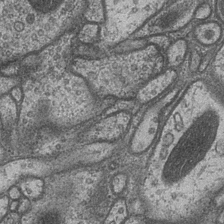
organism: Drosophila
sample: Optic medulla